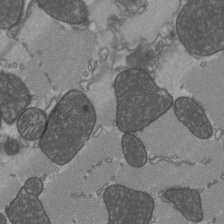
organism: C57BL Mouse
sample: Heart